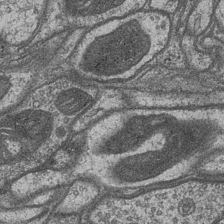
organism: Drosophila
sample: Optic medulla